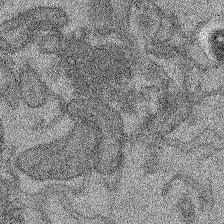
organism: Human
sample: HeLa cells